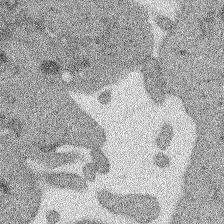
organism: Human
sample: HeLa cells